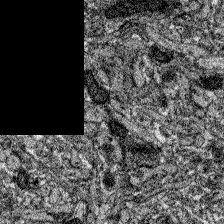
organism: Zebrafish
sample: Larval olfactory bulb